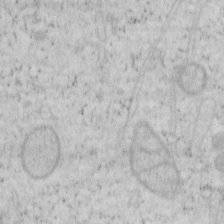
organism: Human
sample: HeLa cells